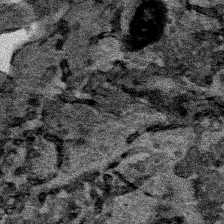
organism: Human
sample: Mitochondria in HCT116 cells